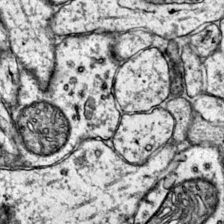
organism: Mouse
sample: Primary visual cortex